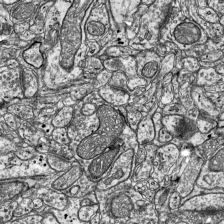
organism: Mouse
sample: Visual Cortex